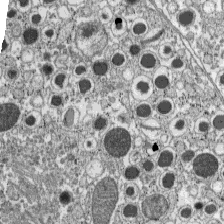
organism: C57BL Mouse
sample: Pancreatic islet